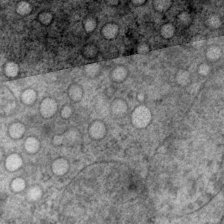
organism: P. pacificus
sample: Pharynx